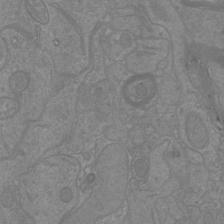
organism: Mouse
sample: Cortical neurons